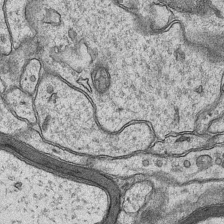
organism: Mouse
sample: CA1 Hippocampus